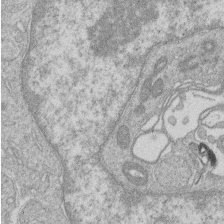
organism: Human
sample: Macrophage cells